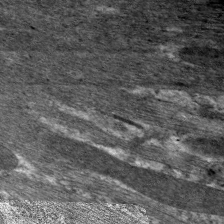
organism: C. elegans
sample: Pharynx